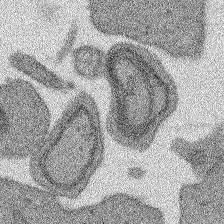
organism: Human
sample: HeLa cells